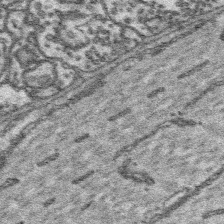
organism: Platynereis dumerilii